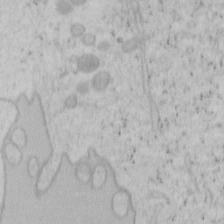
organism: Human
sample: HeLa cells